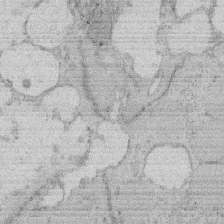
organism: Rat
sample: Salivary granule